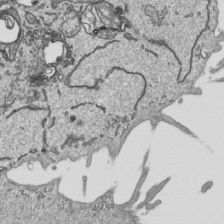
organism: Human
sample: Mitochondria in HCT116 cells